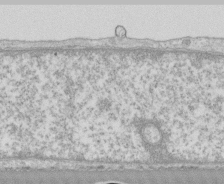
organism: Human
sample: CRL-1474